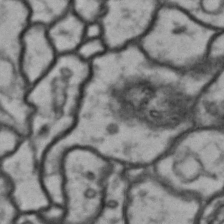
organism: Drosophila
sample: Brain